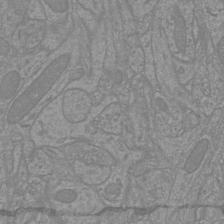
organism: Mouse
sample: Cortical neurons